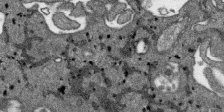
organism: Human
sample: Lung epithelial cells, uninfected (mock) control